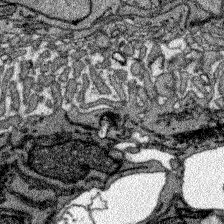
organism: Zebrafish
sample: Larval olfactory bulb